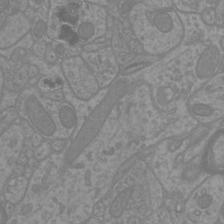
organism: Mouse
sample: Cortical neurons